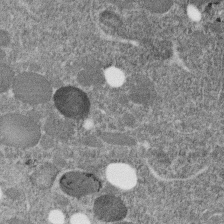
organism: C. elegans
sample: C. elegans embryo early stage